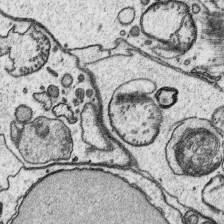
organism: Platynereis dumerilii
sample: Parapodia